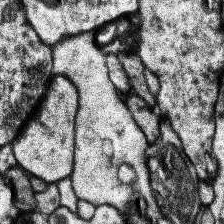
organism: Human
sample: Temporal Lobe